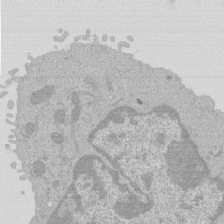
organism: Mouse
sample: Activated Pmel transgenic CD8+ T Cells